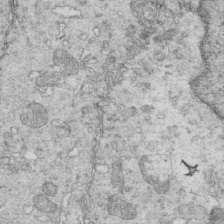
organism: Mouse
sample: Multiciliated cells